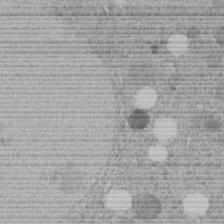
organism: C. elegans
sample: C. elegans embryo early stage